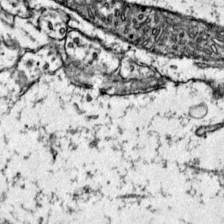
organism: Mouse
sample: Primary visual cortex